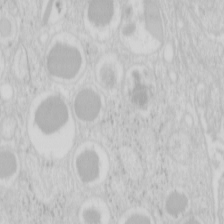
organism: Mouse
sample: Pancreas